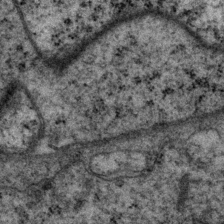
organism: P. pacificus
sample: Pharynx